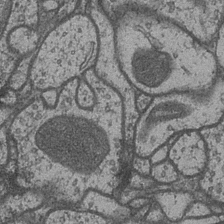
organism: Drosophila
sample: Optic medulla